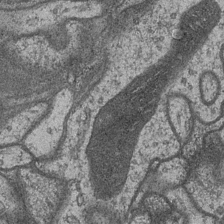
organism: Drosophila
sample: Optic medulla